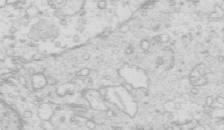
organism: Mouse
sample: Multiciliated cells